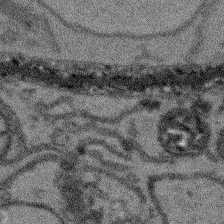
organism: Arabidopsis thaliana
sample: Root tip